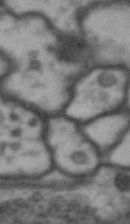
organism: Drosophila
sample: Brain